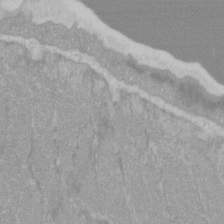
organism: C57BL Mouse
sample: Tibialis anterior muscle cell